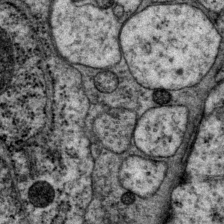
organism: P. pacificus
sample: Pharynx